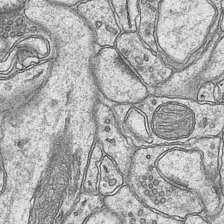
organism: Mouse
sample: CA1 Hippocampus